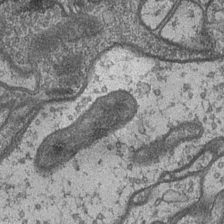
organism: Drosophila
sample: Optic medulla